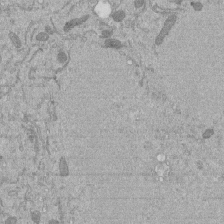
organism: Mouse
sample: ED-1 cell nuclei; centrioles